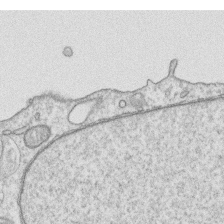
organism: Human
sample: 1205lu cells